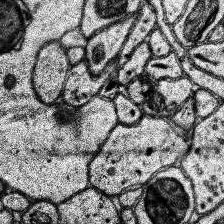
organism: Human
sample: Temporal Lobe